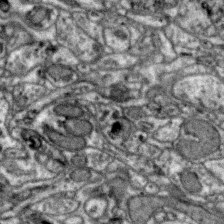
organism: Zebra finch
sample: Brain